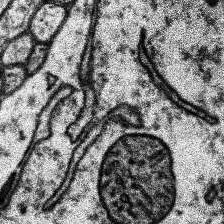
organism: Human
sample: Temporal Lobe